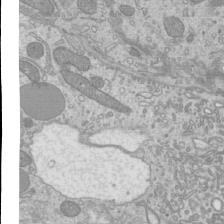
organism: Mouse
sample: Cilia; mouse epididymis